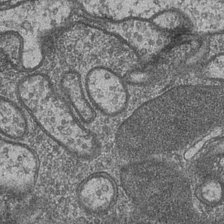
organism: Drosophila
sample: Optic medulla